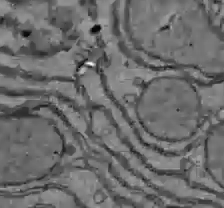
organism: C57BL Mouse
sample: Liver